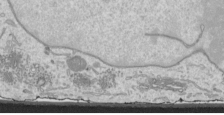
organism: Human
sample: Mitochondria in HCT116 cells